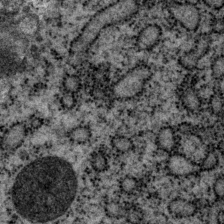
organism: P. pacificus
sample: Pharynx